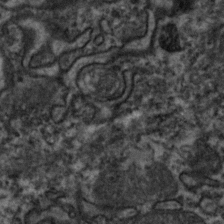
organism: Zebrafish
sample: Zebrafish embryo